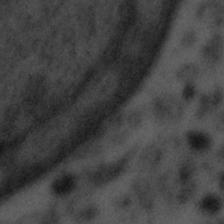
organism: Tuwongella immobilis